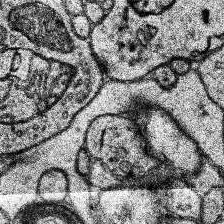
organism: Human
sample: Temporal Lobe